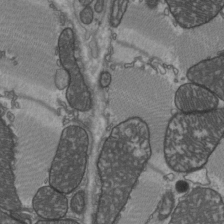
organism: C57BL Mouse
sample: Heart